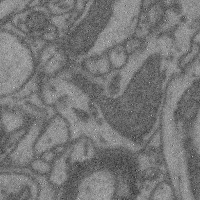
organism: Mouse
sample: Cerebral cortex